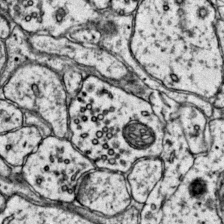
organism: Mouse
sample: Primary visual cortex